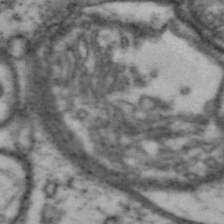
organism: Drosophila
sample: Brain